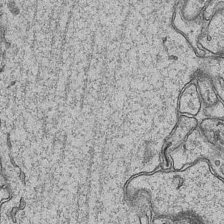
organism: Mouse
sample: CA1 Hippocampus